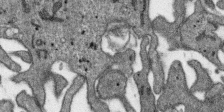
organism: Human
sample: Lung epithelial cells, uninfected (mock) control